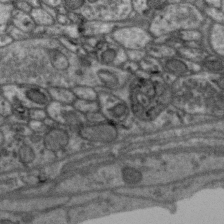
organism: Zebra finch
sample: Brain